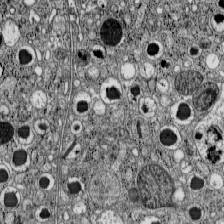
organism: C57BL Mouse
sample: Pancreatic islet